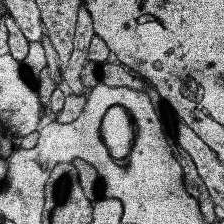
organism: Human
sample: Temporal Lobe